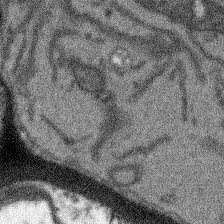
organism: Arabidopsis thaliana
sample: Root tip